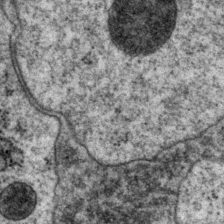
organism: P. pacificus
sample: Pharynx